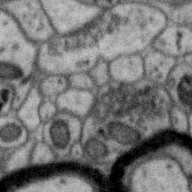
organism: Zebra finch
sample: Brain